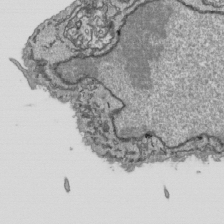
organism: Human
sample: Mitochondria in HCT116 cells